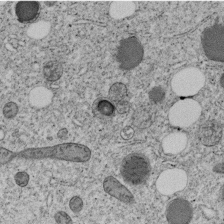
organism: C. elegans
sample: C. elegans embryo early stage